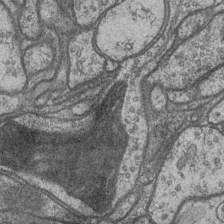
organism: Drosophila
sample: Optic medulla